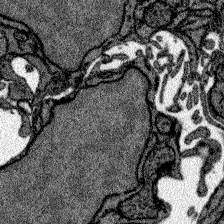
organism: Zebrafish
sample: Larval olfactory bulb